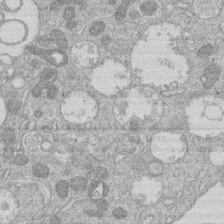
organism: Human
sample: Macrophage cells